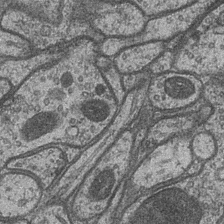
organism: Drosophila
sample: Optic medulla